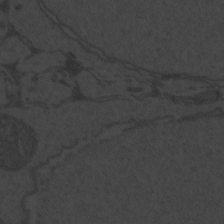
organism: Zebrafish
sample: Macrophage infected with Toxoplasma gondii